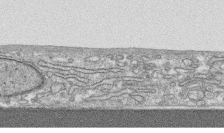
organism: Human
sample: CRL-1474